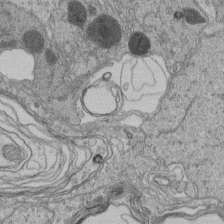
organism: Human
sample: Retinal organoid Rod and Cone cells